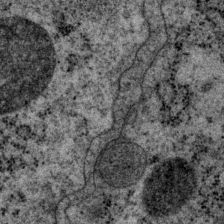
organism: P. pacificus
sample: Pharynx